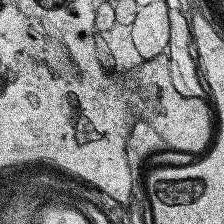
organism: Human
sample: Temporal Lobe